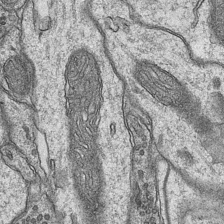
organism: Mouse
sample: CA1 Hippocampus